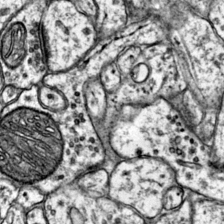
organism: Mouse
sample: Primary visual cortex